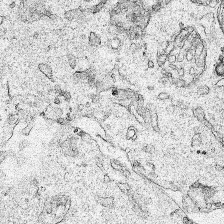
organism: Human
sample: Mitochondria in HCT116 cells